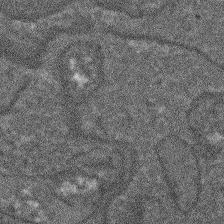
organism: Arabidopsis thaliana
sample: Root tip